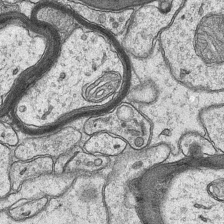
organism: Mouse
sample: CA1 Hippocampus